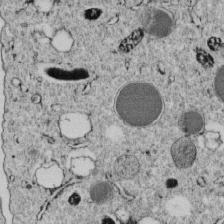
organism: C. elegans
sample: C. elegans embryo early stage